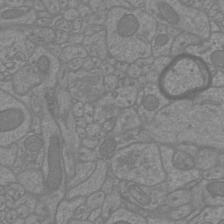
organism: Mouse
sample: Cortical neurons